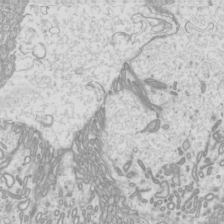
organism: Mouse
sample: Cilia; mouse epididymis